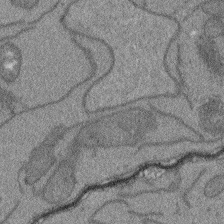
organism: Arabidopsis thaliana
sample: Root tip